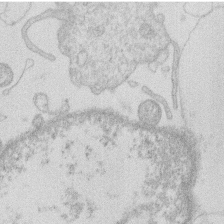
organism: Human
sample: Macrophage cells